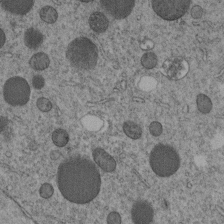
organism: C. elegans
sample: C. elegans embryo early stage